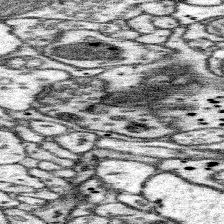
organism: Mouse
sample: Somatosensory cortex neuropil